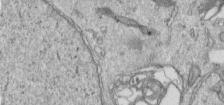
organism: Human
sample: Centriole in RPE cells